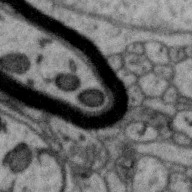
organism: Zebra finch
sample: Brain